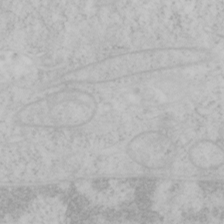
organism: Mouse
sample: OT-I killer T cells with ID8 ovarian cancer cells